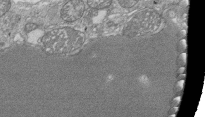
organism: Tetrahymena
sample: Cilia in tetrahymena